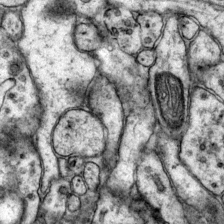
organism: Mouse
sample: Primary visual cortex